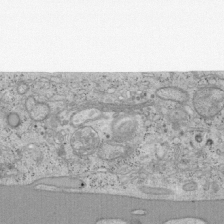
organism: Human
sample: HeLa cells